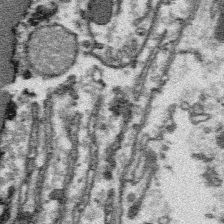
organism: Platynereis dumerilii